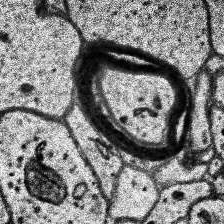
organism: Human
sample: Temporal Lobe